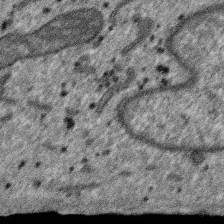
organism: Human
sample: Lung epithelial cells infected with SARS-CoV-2